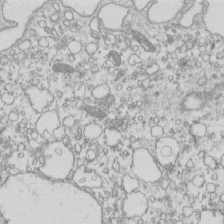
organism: Mouse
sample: Macrophages